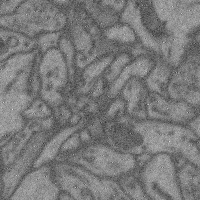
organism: Mouse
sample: Cerebral cortex